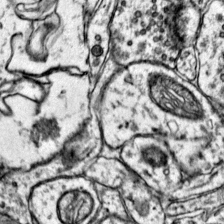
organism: Mouse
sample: Primary visual cortex